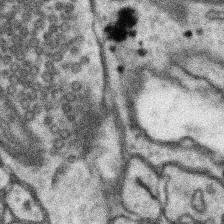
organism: Mouse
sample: Somatosensory cortex neuropil